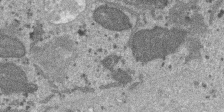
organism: Human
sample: Lung epithelial cells infected with SARS-CoV-2